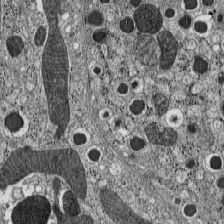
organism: C57BL Mouse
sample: Pancreatic islet